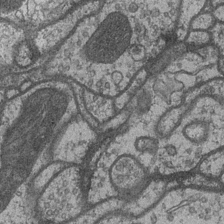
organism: Drosophila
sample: Optic medulla